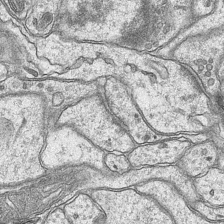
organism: Mouse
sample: CA1 Hippocampus